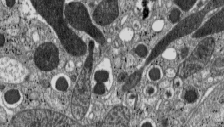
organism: C57BL Mouse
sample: Pancreatic islet